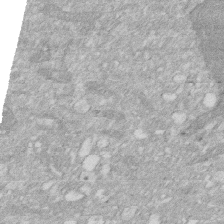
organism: Human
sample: HIV infected U937 cells